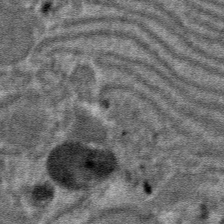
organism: Mouse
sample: Mouse hepatocytes